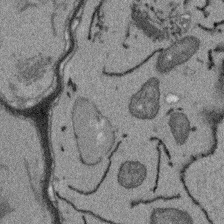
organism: Arabidopsis thaliana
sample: Root tip